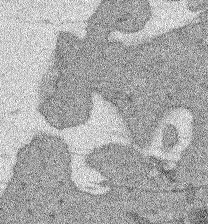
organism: Human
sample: HeLa cells